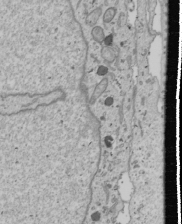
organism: Human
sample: Mitochondria in U2OS cells